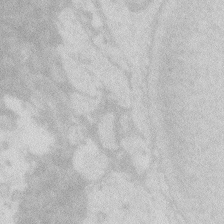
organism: Zebrafish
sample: Macrophage